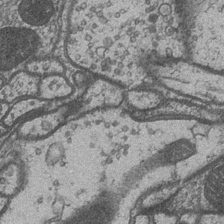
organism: Drosophila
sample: Optic medulla